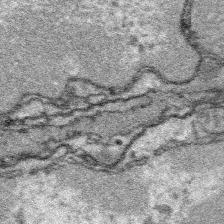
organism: Platynereis dumerilii